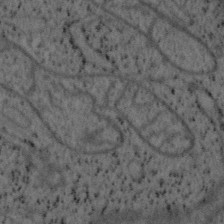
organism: Human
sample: HeLa cells